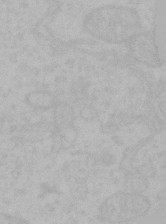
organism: Mouse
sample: Choroid plexus